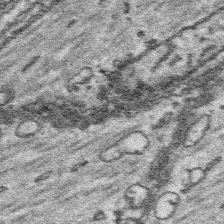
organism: Platynereis dumerilii